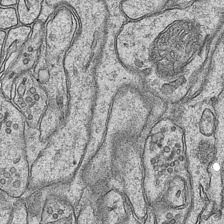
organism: Mouse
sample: CA1 Hippocampus